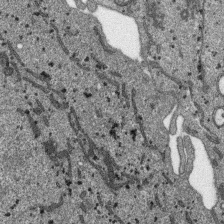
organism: Human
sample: Lung epithelial cells infected with SARS-CoV-2